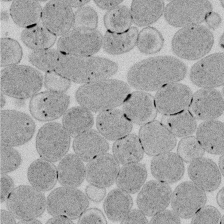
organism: E. coli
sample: Bacterial nucleoid